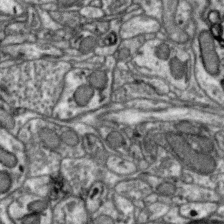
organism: Zebra finch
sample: Brain